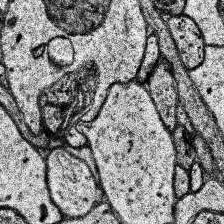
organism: Human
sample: Temporal Lobe